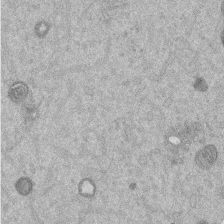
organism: Mouse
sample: Dividing mouse embryo 1 cell stage